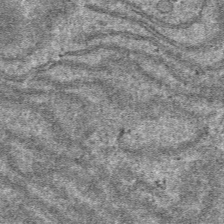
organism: Mouse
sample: Mouse hepatocytes